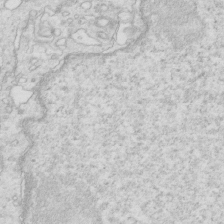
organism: Mouse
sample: Multiciliated cells